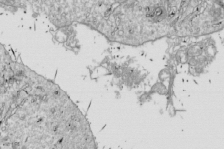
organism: Drosophila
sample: Cell division; meiosis; drosophila spermatocytes